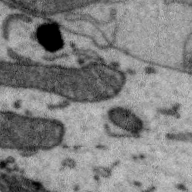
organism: Zebra finch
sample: Brain